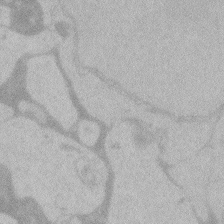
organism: Zebrafish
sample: Macrophage infected with Toxoplasma gondii